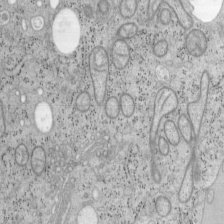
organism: Mouse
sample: OT-I killer T cells with ID8 ovarian cancer cells